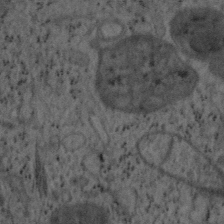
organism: Human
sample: HeLa cells